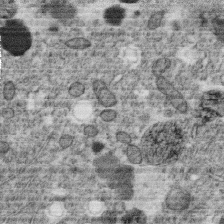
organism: C. elegans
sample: C. elegans oocyte; sperm cells